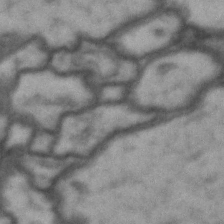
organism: Drosophila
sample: Brain